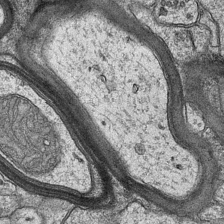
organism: Mouse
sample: CA1 Hippocampus